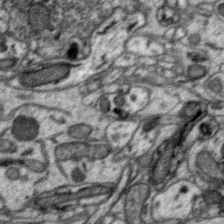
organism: Zebra finch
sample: Brain